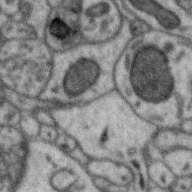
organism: Zebra finch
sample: Brain